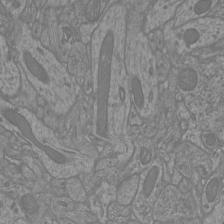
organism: Mouse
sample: Cortical neurons